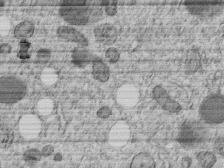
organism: C. elegans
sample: C. elegans embryo early stage